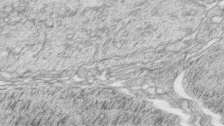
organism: Zebrafish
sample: synaptic ribbons in rod cells and cone cells